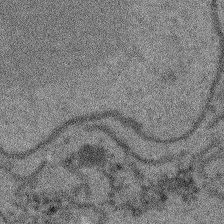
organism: Arabidopsis thaliana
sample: Root tip